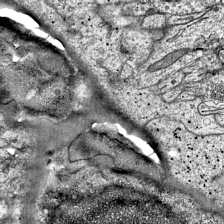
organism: Mouse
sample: Visual Cortex